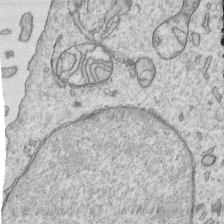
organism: Human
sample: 1205lu cells